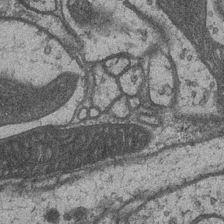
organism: Drosophila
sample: Optic medulla